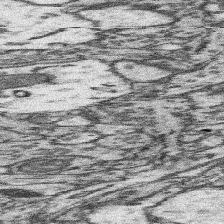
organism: Mouse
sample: Somatosensory cortex neuropil